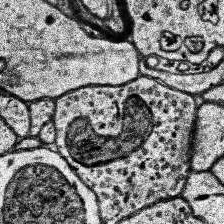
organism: Human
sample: Temporal Lobe